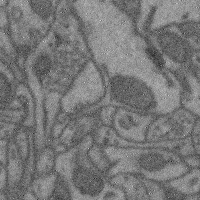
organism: Mouse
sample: Cerebral cortex